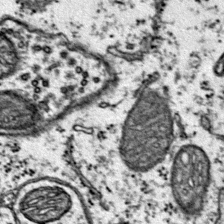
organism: Mouse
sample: Primary visual cortex